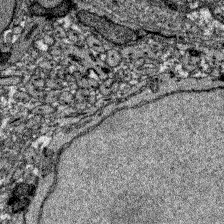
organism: Zebrafish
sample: Larval olfactory bulb